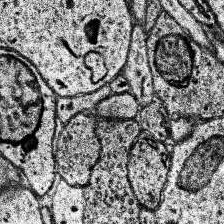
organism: Human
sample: Temporal Lobe